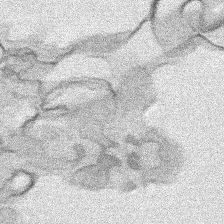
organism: Human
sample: Mitochondria in HCT116 cells